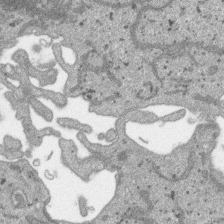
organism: Human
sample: Lung epithelial cells infected with SARS-CoV-2